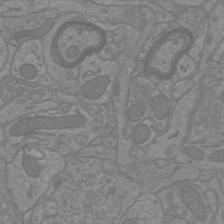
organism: Mouse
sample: Cortical neurons